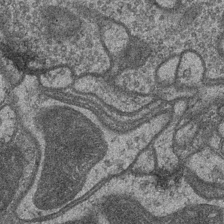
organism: Drosophila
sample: Optic medulla